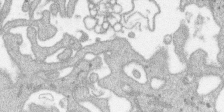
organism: Human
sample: Lung epithelial cells infected with SARS-CoV-2